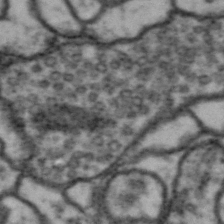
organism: Drosophila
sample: Brain